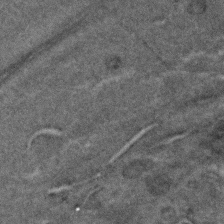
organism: C. elegans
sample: C. elegans embryo